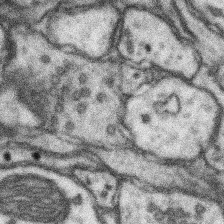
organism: Mouse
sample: Somatosensory cortex neuropil